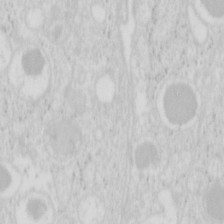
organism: Mouse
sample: Pancreas